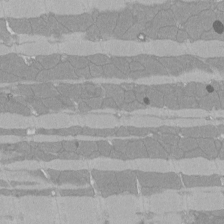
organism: Rat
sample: Left ventricle